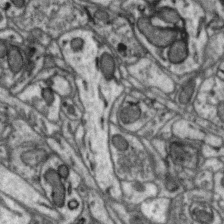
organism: Zebra finch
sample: Brain